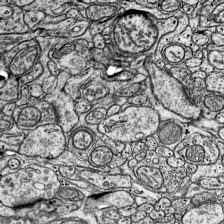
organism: Mouse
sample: Visual Cortex